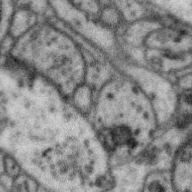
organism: Zebra finch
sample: Brain